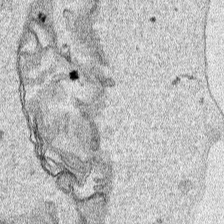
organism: Human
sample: Mitochondria in HCT116 cells